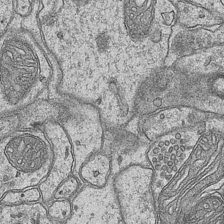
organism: Mouse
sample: CA1 Hippocampus